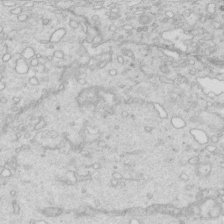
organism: Mouse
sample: Multiciliated cells